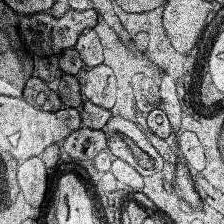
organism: Human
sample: Temporal Lobe